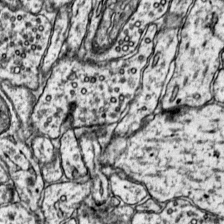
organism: Mouse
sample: Primary visual cortex